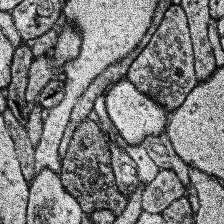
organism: Human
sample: Temporal Lobe